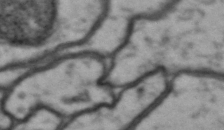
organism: Drosophila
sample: Brain